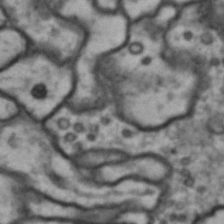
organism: Drosophila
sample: Brain